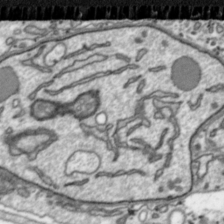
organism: Toxoplasma gondii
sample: Parasites in a vacuole inside a host cell